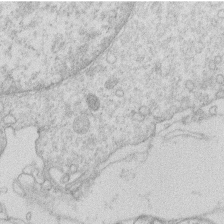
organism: Human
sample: Macrophage cells